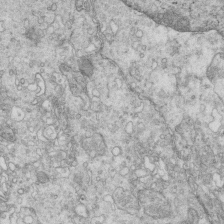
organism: Mouse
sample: Multiciliated cells